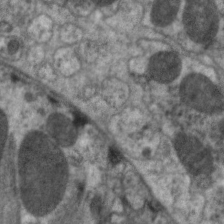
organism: C. elegans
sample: Pharynx